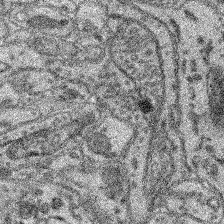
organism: Mouse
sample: Retina